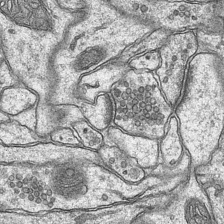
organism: Mouse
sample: CA1 Hippocampus